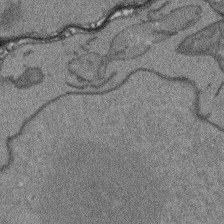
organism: Arabidopsis thaliana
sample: Root tip